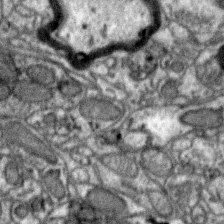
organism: Zebra finch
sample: Brain